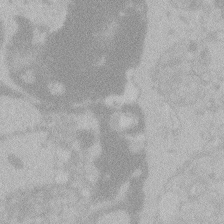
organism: Zebrafish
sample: Macrophage infected with Toxoplasma gondii